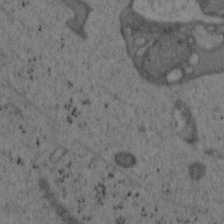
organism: Human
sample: HeLa cells